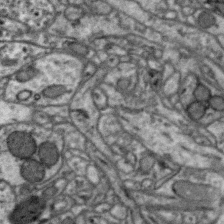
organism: Zebra finch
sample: Brain